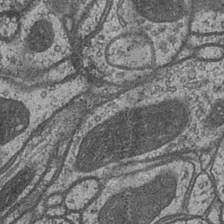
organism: Drosophila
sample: Optic medulla